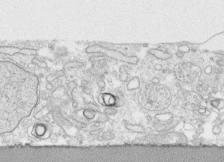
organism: Human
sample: CRL-1474